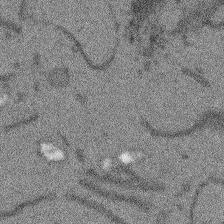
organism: Arabidopsis thaliana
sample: Root tip